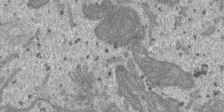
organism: Human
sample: Lung epithelial cells infected with SARS-CoV-2